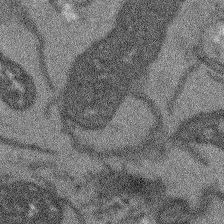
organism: Arabidopsis thaliana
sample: Root tip